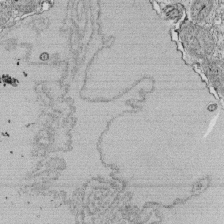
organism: Tetrahymena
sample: Cilia in tetrahymena